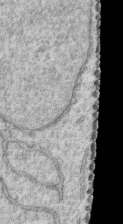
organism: Human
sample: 1205lu cells